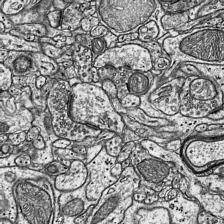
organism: Mouse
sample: Visual Cortex